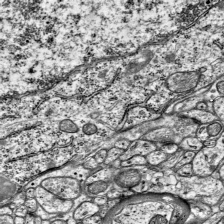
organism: Mouse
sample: Visual Cortex